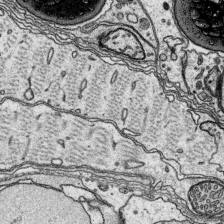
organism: Platynereis dumerilii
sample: Parapodia